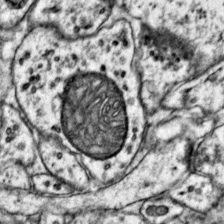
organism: Mouse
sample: Primary visual cortex